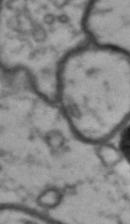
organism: Drosophila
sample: Brain